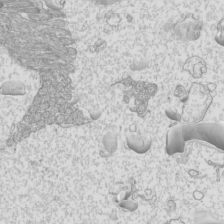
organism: Mouse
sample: Cilia; mouse epididymis